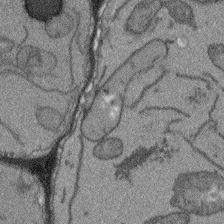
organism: Arabidopsis thaliana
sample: Root tip